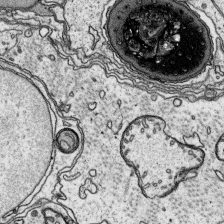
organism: Platynereis dumerilii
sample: Parapodia